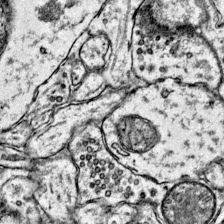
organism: Mouse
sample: Primary visual cortex